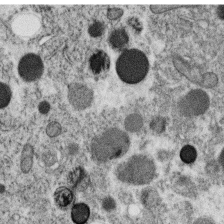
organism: C. elegans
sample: C. elegans oocyte; sperm cells